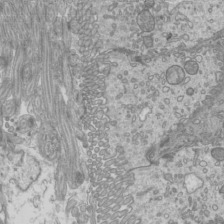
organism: Mouse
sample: Cilia; mouse epididymis